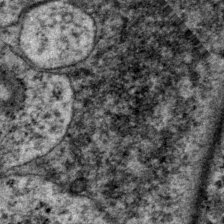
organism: P. pacificus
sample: Pharynx